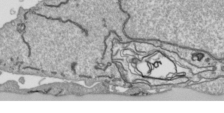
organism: Human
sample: Mitochondria in HCT116 cells